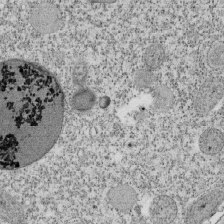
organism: Tetrahymena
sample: Cilia in tetrahymena